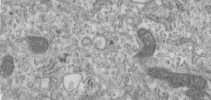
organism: Human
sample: Centriole in RPE cells